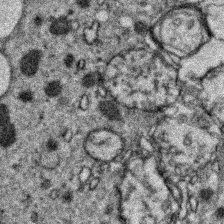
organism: Zebrafish